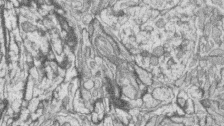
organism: Zebrafish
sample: synaptic ribbons in rod cells and cone cells